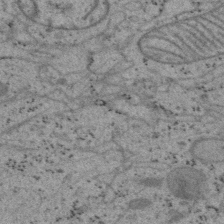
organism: Human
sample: HeLa cells